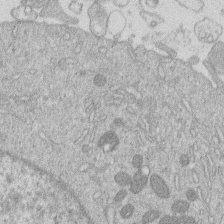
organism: Human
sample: Macrophage cells